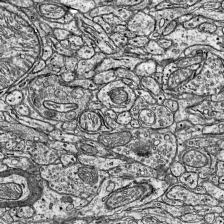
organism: Mouse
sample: Visual Cortex